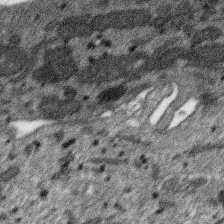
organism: Human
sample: Lung epithelial cells infected with SARS-CoV-2